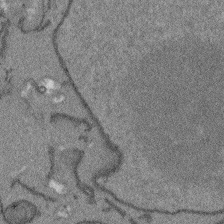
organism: Arabidopsis thaliana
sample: Root tip